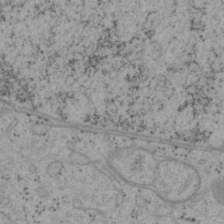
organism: Human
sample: HeLa cells